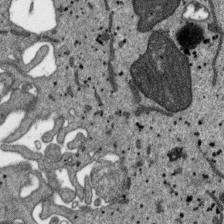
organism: Human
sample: Lung epithelial cells, uninfected (mock) control